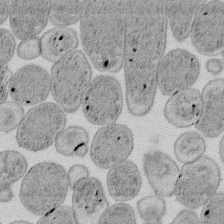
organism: E. coli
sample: Bacterial nucleoid